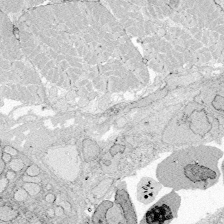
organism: Zebrafish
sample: Whole-Brain